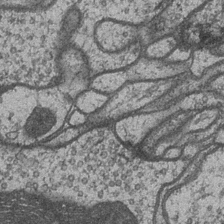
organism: Drosophila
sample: Optic medulla